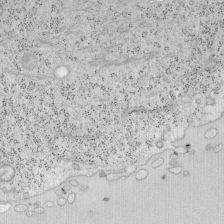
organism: Mouse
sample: OT-I killer T cells with ID8 ovarian cancer cells